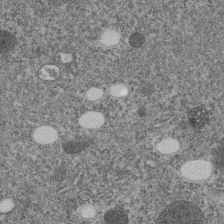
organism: C. elegans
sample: C. elegans embryo early stage